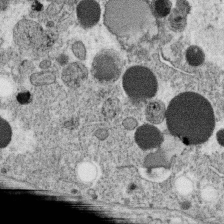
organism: C. elegans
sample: C. elegans oocyte; sperm cells